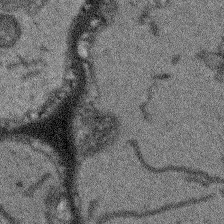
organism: Arabidopsis thaliana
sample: Root tip